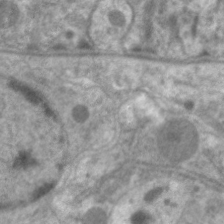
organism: C. elegans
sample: Pharynx